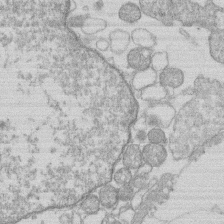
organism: Human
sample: Macrophage cells